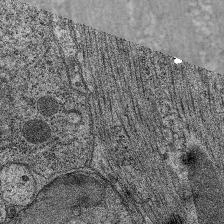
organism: C. elegans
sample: Pharynx